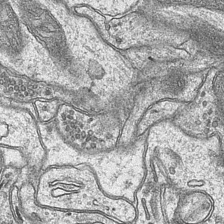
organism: Mouse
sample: CA1 Hippocampus